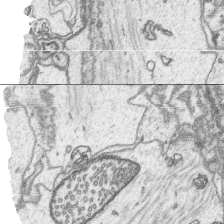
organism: Platynereis dumerilii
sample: Parapodia